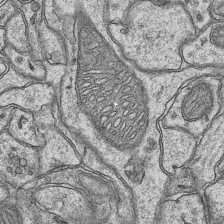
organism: Mouse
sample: CA1 Hippocampus